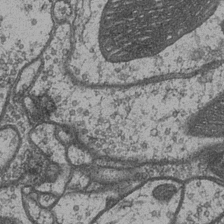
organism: Drosophila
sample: Optic medulla